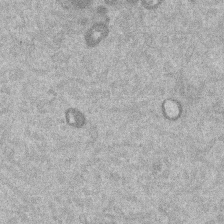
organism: Mouse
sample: Dividing mouse embryo 1 cell stage